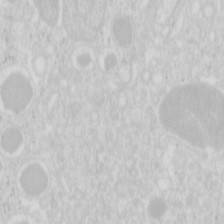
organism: Mouse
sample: Pancreas